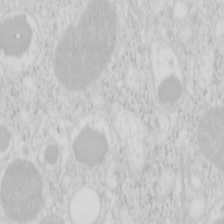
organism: Mouse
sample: Pancreas